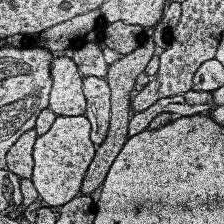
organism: Human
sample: Temporal Lobe